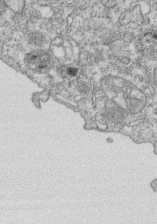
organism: Human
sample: HeLa cell HIV synapse